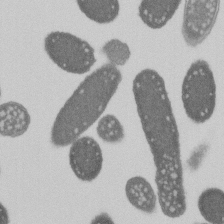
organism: E. coli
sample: Bacterial nucleoid